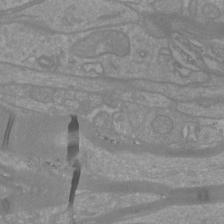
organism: Mouse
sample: Cortical neurons